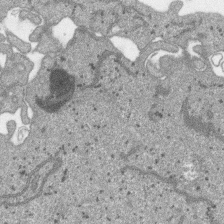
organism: Human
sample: Lung epithelial cells infected with SARS-CoV-2